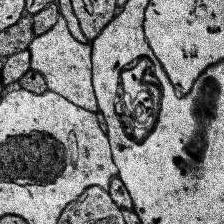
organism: Human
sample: Temporal Lobe